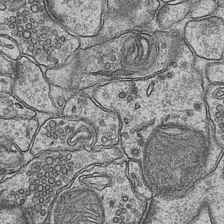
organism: Mouse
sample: CA1 Hippocampus